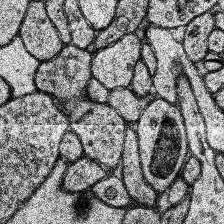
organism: Human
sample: Temporal Lobe